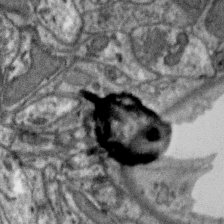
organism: Zebra finch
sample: Brain